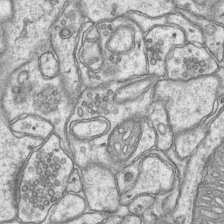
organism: Mouse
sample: CA1 Hippocampus